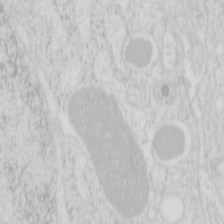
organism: Mouse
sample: Pancreas